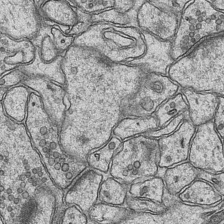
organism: Mouse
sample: CA1 Hippocampus